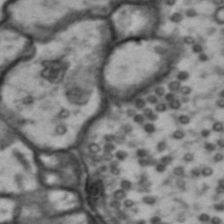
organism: Drosophila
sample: Brain